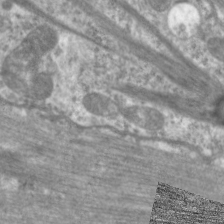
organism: C. elegans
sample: Pharynx